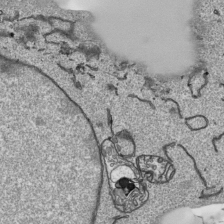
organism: Human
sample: Mitochondria in HCT116 cells